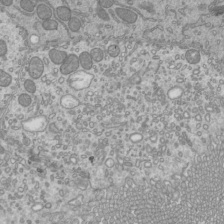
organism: Mouse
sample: Cilia; mouse epididymis